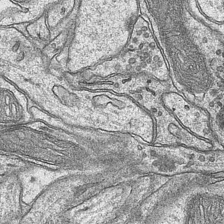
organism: Mouse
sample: CA1 Hippocampus